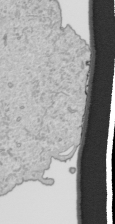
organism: Human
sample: Mitochondria in HCT116 cells